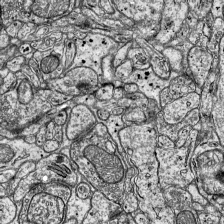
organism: Mouse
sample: Visual Cortex